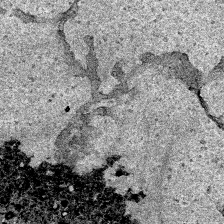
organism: Human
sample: Mitochondria in HCT116 cells